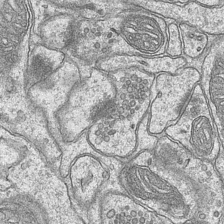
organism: Mouse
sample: CA1 Hippocampus